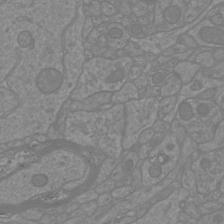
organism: Mouse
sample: Cortical neurons